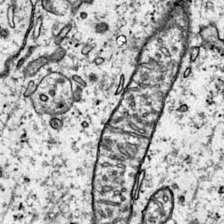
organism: Mouse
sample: Primary visual cortex